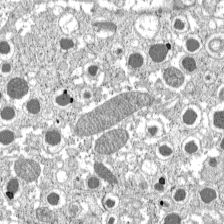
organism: C57BL Mouse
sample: Pancreatic islet